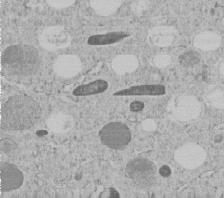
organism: C. elegans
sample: C. elegans embryo early stage